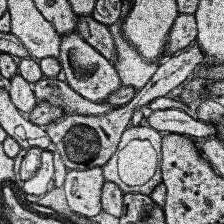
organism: Human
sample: Temporal Lobe